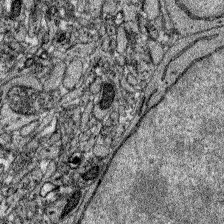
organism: Zebrafish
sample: Larval olfactory bulb